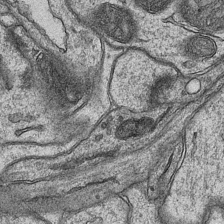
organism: Mouse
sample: CA1 Hippocampus